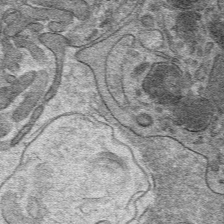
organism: Mouse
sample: Mouse hepatocytes